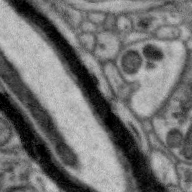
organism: Zebra finch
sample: Brain